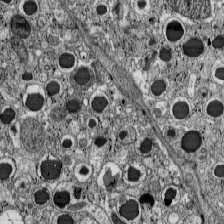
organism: C57BL Mouse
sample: Pancreatic islet